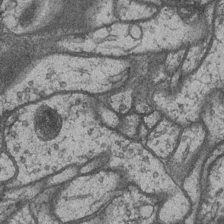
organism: Drosophila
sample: Optic medulla